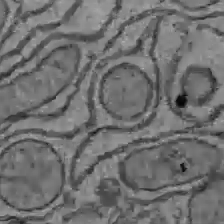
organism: C57BL Mouse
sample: Liver